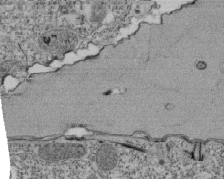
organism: Tetrahymena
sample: Cilia in tetrahymena